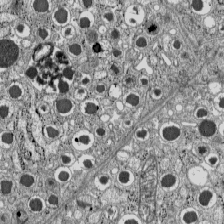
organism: C57BL Mouse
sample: Pancreatic islet